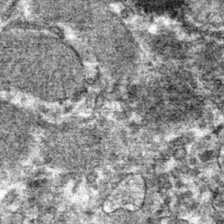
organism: Mouse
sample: Mouse hepatocytes